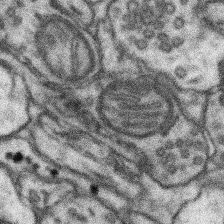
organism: Mouse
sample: Somatosensory cortex neuropil